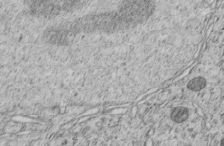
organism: C. elegans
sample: C. elegans embryo early stage